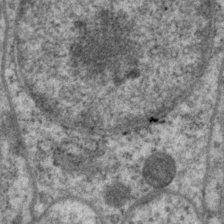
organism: P. pacificus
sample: Pharynx